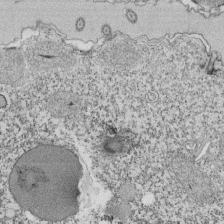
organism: Tetrahymena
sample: Cilia in tetrahymena